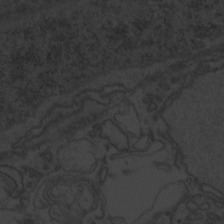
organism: Zebrafish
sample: Macrophage infected with Toxoplasma gondii